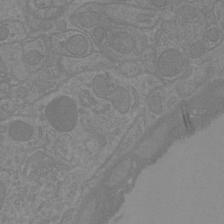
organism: Mouse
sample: Cortical neurons